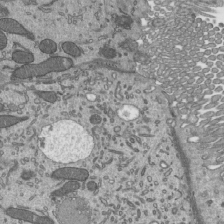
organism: Mouse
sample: Mouse epididymis efferent ductule cilia